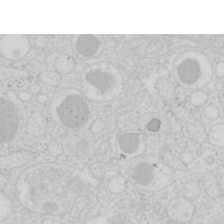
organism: Mouse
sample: Pancreas